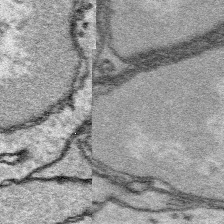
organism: Platynereis dumerilii